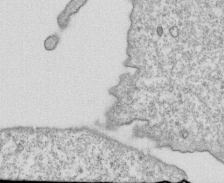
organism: Mouse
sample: Activated OT-1 CD8+ T cells